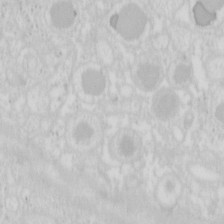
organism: Mouse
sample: Pancreas